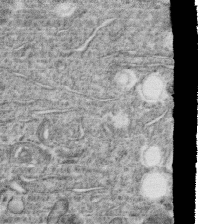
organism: C. elegans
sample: C. elegans oocyte; sperm cells